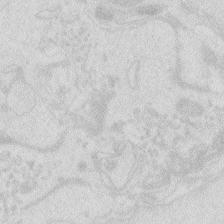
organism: Zebrafish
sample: Macrophage